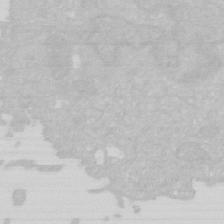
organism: Human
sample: HIV infected U937 cells